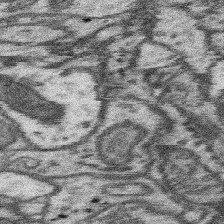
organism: Mouse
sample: Somatosensory cortex neuropil